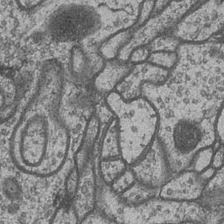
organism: Drosophila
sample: Optic medulla